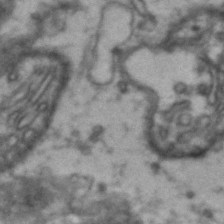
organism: Drosophila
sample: Brain